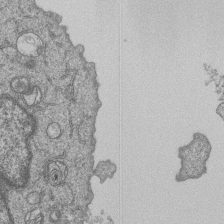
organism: Human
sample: MDA-MB-231 cells